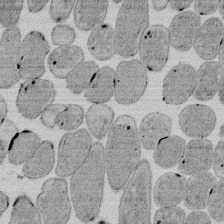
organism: E. coli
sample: Bacterial nucleoid